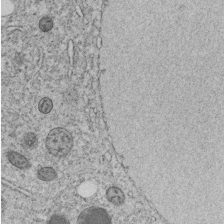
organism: C. elegans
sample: C. elegans embryo early stage